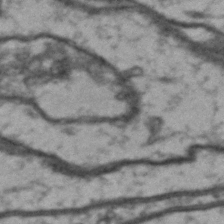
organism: Drosophila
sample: Brain